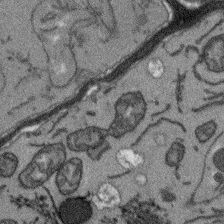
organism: Arabidopsis thaliana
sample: Root tip